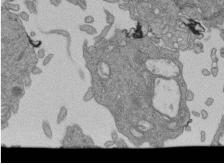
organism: Human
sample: Retinal organoid Rod and Cone cells